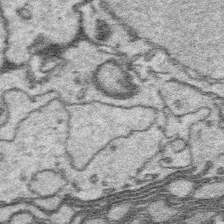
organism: Platynereis dumerilii